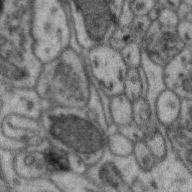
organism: Zebra finch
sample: Brain